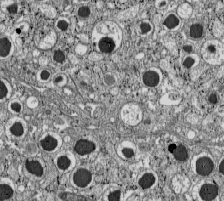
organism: C57BL Mouse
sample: Pancreatic islet